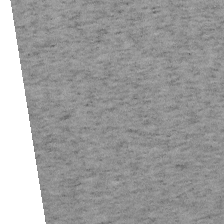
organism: Mouse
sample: OT-I killer T cells with ID8 ovarian cancer cells